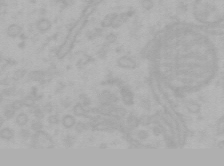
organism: Mouse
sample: Choroid plexus